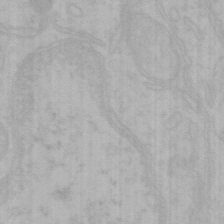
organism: Mouse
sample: Choroid plexus